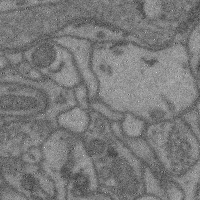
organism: Mouse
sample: Cerebral cortex